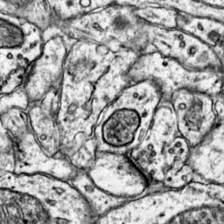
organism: Mouse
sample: Primary visual cortex